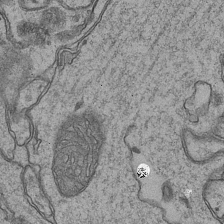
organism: Mouse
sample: CA1 Hippocampus